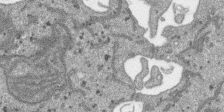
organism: Human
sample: Lung epithelial cells infected with SARS-CoV-2